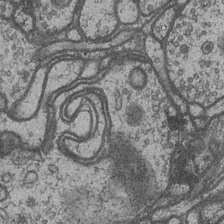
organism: Drosophila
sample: Optic medulla